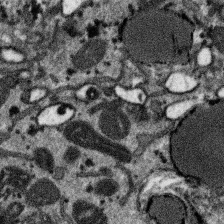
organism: Human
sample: Lung epithelial cells infected with SARS-CoV-2